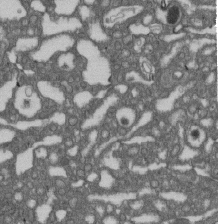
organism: Drosophila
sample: Nephrocyte